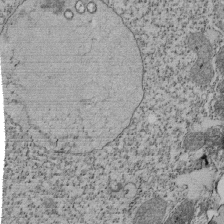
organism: Tetrahymena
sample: Cilia in tetrahymena